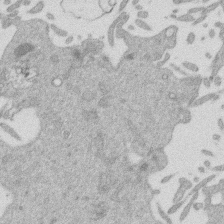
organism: Mouse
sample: Dividing mouse embryo 1 cell stage